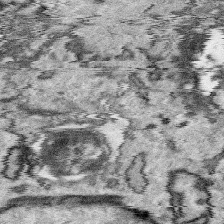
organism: Human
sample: HeLa cells